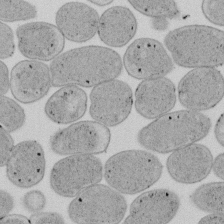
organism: E. coli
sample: Bacterial nucleoid